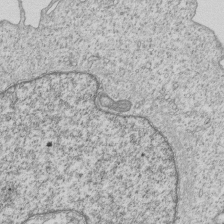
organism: Human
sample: MDA-MB-231 cells